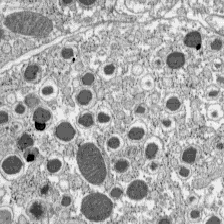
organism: C57BL Mouse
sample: Pancreatic islet